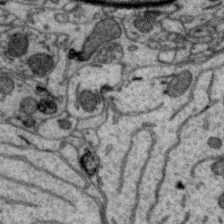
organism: Zebra finch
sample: Brain